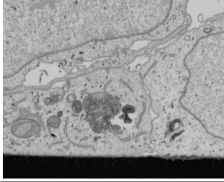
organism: Human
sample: Mitochondria in U2OS cells